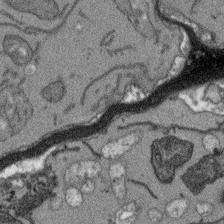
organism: Arabidopsis thaliana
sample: Root tip